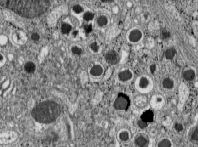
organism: C57BL Mouse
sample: Pancreatic islet